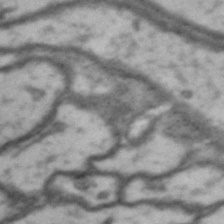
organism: Drosophila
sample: Brain